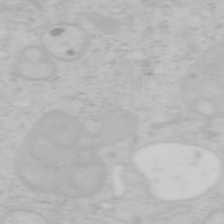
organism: Mouse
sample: OT-I killer T cells with ID8 ovarian cancer cells